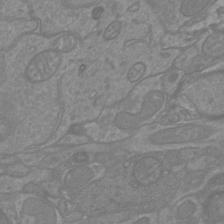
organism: Mouse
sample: Cortical neurons